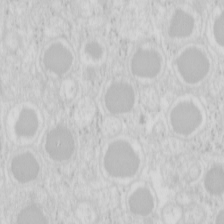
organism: Mouse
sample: Pancreas